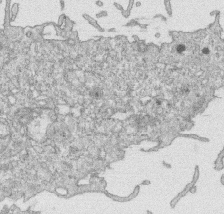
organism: Human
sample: HeLa cell HIV synapse